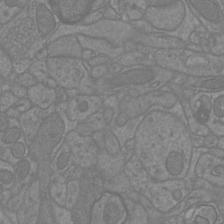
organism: Mouse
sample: Cortical neurons